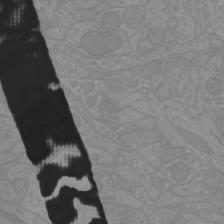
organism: Mouse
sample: Cortical neurons